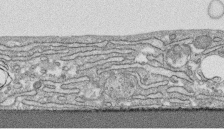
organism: Human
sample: CRL-1474